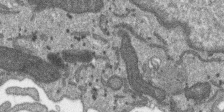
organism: Human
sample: Lung epithelial cells infected with SARS-CoV-2